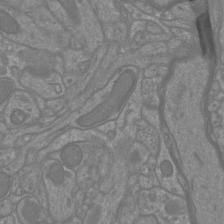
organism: Mouse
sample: Cortical neurons